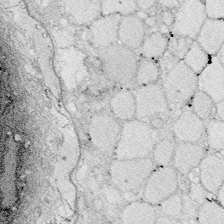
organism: Zebrafish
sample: Whole-Brain